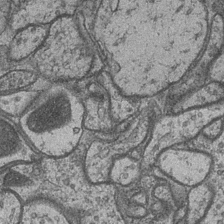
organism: Drosophila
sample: Optic medulla